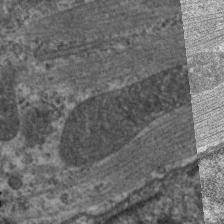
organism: C. elegans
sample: Pharynx